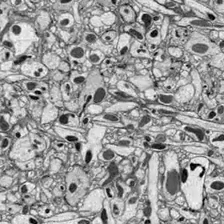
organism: Drosophila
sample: Optic lobe